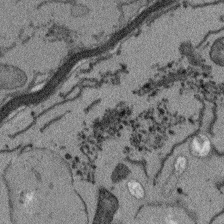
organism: Arabidopsis thaliana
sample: Root tip